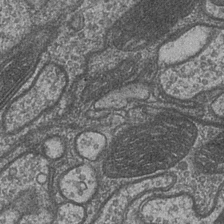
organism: Drosophila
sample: Optic medulla